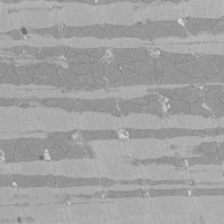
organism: Rat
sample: Left ventricle